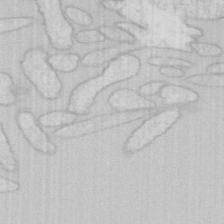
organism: Human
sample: HeLa cells